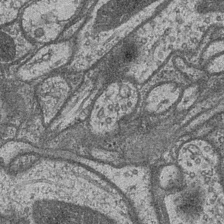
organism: Drosophila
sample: Optic medulla